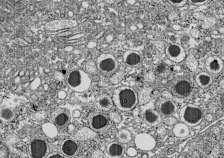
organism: C57BL Mouse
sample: Pancreatic islet